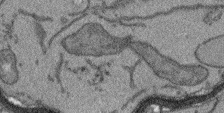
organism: Arabidopsis thaliana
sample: Root tip